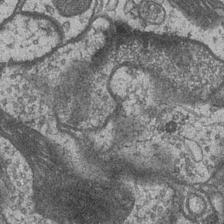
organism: Drosophila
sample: Optic medulla